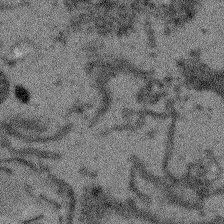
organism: Arabidopsis thaliana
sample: Root tip